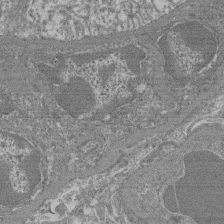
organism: Mouse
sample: Glomerulus